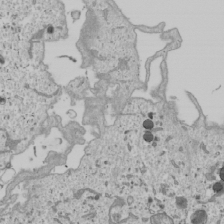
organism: Human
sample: Mitochondria in U2OS cells